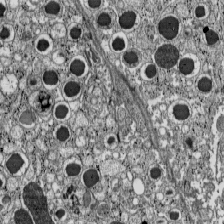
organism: C57BL Mouse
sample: Pancreatic islet